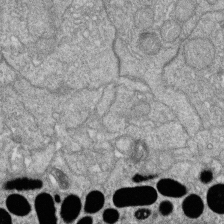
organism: Zebrafish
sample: Cilia; retinal pigment epithelium